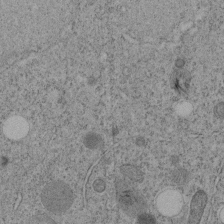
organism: C. elegans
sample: C. elegans embryo early stage